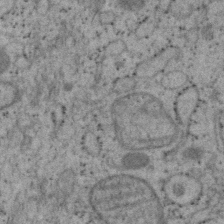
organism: Human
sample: HeLa cells